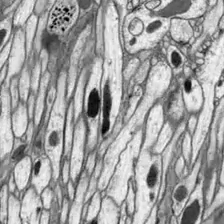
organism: Drosophila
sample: Optic lobe